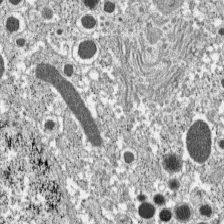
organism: C57BL Mouse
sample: Pancreatic islet